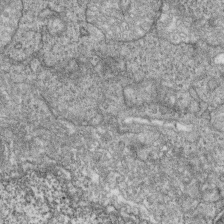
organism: Zebrafish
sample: Cilia; retinal pigment epithelium